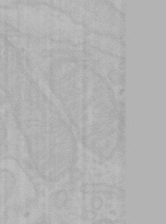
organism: Mouse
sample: Choroid plexus